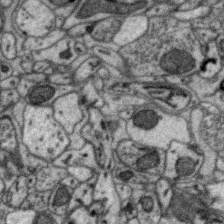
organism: Zebra finch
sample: Brain